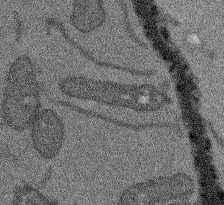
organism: Arabidopsis thaliana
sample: Root tip